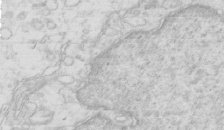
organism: Mouse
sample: Multiciliated cells